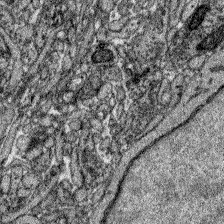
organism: Zebrafish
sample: Larval olfactory bulb